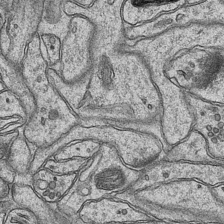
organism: Mouse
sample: CA1 Hippocampus